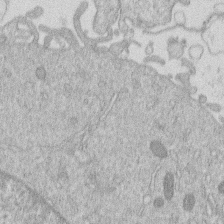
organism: Human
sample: Macrophage cells